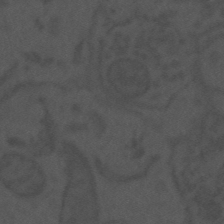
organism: Mouse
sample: Suprachiasmatic nucleus